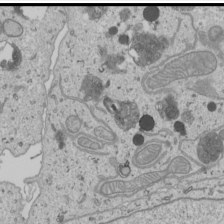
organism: Human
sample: Mitochondria in U2OS cells